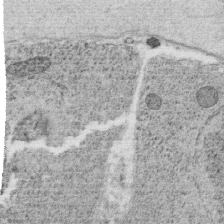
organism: C. elegans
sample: C. elegans oocyte; sperm cells